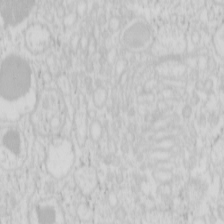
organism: Mouse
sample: Pancreas